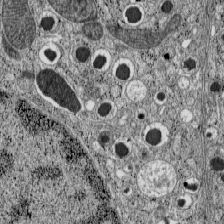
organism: C57BL Mouse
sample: Pancreatic islet